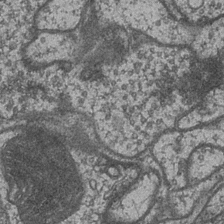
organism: Drosophila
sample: Optic medulla